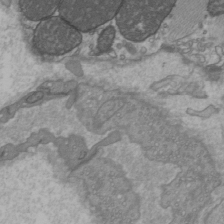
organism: C57BL Mouse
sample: Heart